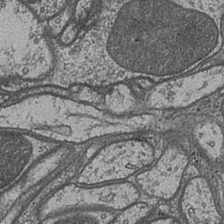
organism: Drosophila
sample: Optic medulla